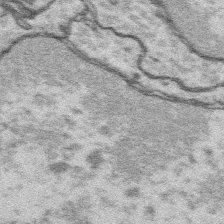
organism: Platynereis dumerilii